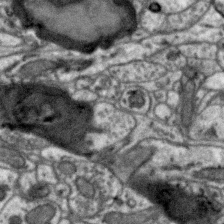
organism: Zebra finch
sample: Brain